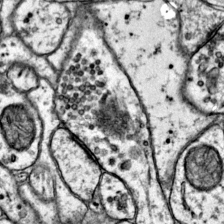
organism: Mouse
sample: Primary visual cortex